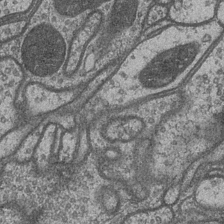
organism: Drosophila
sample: Optic medulla